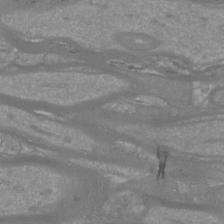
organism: Mouse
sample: Cortical neurons